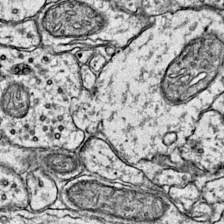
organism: Mouse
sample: Primary visual cortex